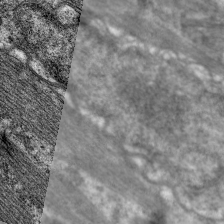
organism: C. elegans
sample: Pharynx